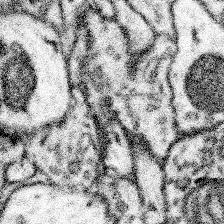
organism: Mouse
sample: Somatosensory cortex neuropil